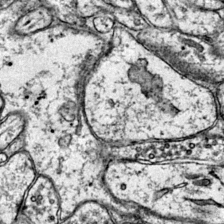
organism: Mouse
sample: Primary visual cortex